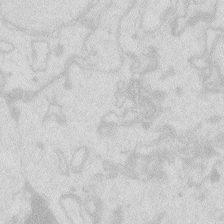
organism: Zebrafish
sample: Macrophage